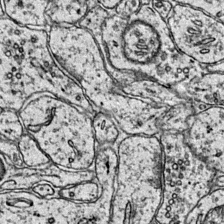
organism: Mouse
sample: Primary visual cortex